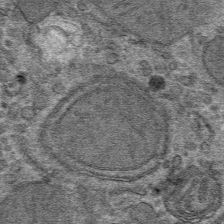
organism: Mouse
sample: Mouse hepatocytes